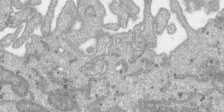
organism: Human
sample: Lung epithelial cells infected with SARS-CoV-2